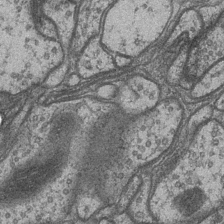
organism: Drosophila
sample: Optic medulla